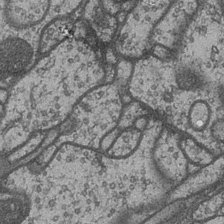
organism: Drosophila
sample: Optic medulla